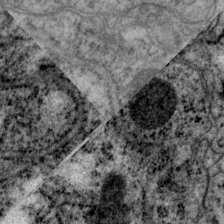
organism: P. pacificus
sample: Pharynx